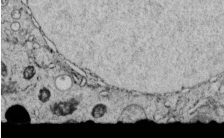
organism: C. elegans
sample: C. elegans embryo early stage